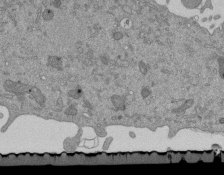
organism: Mouse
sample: ED-1 cell nuclei; centrioles